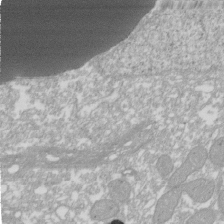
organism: Xenopus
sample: Cilia; centrioles in frog embryo cells